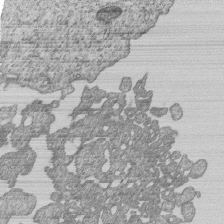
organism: Human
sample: MDA-MB-231 cells